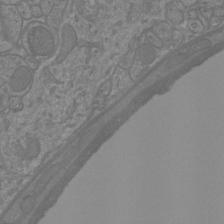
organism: Mouse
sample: Cortical neurons